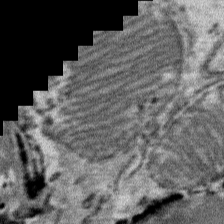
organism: Mouse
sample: Mouse Salivary gland